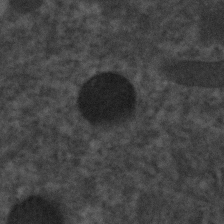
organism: C. elegans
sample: C. elegans embryo